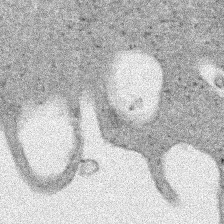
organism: Human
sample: Mitochondria in HCT116 cells